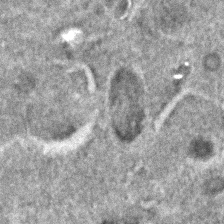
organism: C. elegans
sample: C. elegans embryo